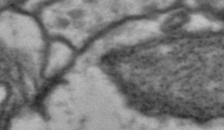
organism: Drosophila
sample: Brain